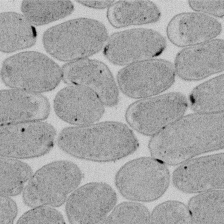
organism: E. coli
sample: Bacterial nucleoid